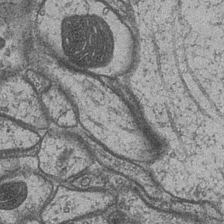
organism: Drosophila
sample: Optic medulla